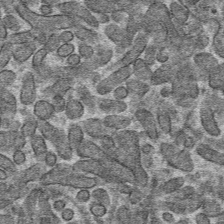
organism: Mouse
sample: Mouse hepatocytes